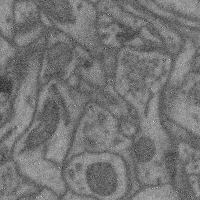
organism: Mouse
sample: Cerebral cortex